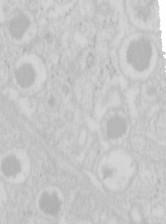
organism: Mouse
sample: Pancreas